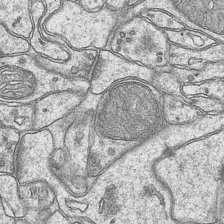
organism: Mouse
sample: CA1 Hippocampus